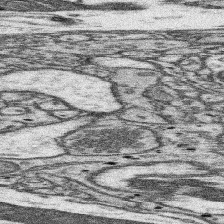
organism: Mouse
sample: Somatosensory cortex neuropil